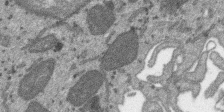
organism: Human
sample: Lung epithelial cells infected with SARS-CoV-2